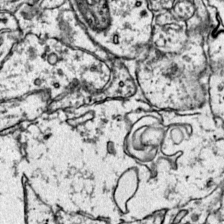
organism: Mouse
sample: Primary visual cortex